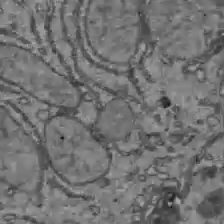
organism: C57BL Mouse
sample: Liver